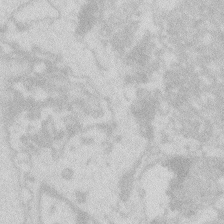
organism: Zebrafish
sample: Macrophage